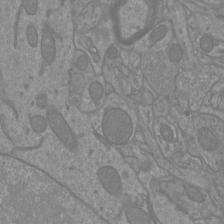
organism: Mouse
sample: Cortical neurons